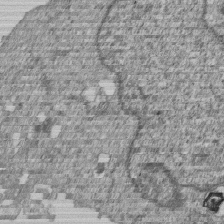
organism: Human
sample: MDA-MB-231 cells